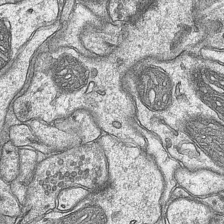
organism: Mouse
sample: CA1 Hippocampus